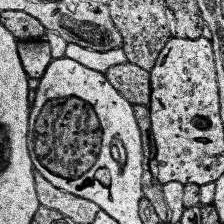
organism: Human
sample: Temporal Lobe